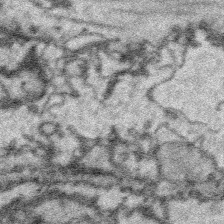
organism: Platynereis dumerilii